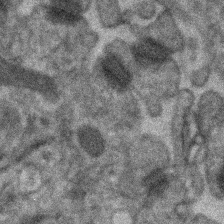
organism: Human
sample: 1205lu cells